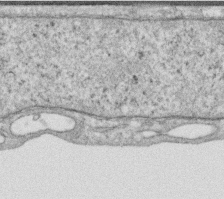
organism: Human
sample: Centriole in RPE cells